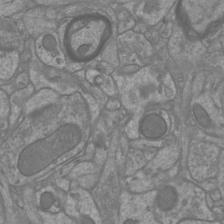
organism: Mouse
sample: Cortical neurons